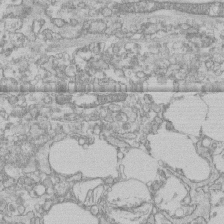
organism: Human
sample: CRL-1474